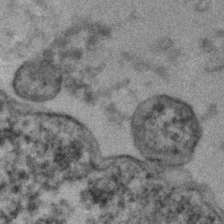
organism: Human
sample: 1205lu cells